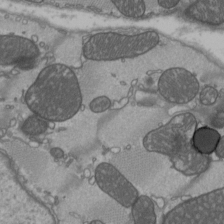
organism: C57BL Mouse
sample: Heart